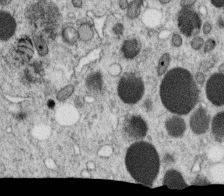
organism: C. elegans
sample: C. elegans oocyte; sperm cells